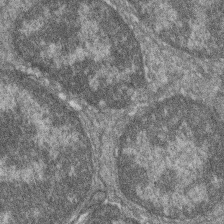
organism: Zebrafish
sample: Cilia; retinal pigment epithelium